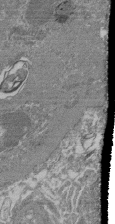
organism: Mouse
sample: Glomerulus